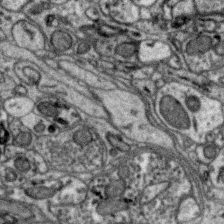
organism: Zebra finch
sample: Brain